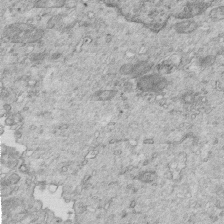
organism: Mouse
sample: Multiciliated cells